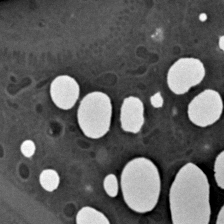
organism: C. elegans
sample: C. elegans embryo